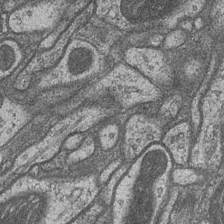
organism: Drosophila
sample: Optic medulla